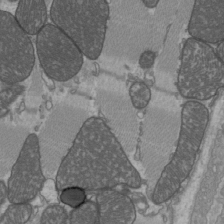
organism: C57BL Mouse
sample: Heart